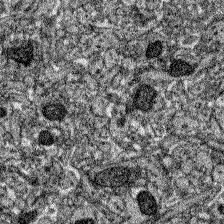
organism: Zebrafish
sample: Larval olfactory bulb